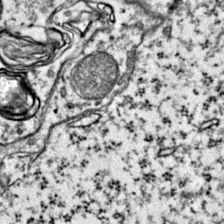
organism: Mouse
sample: Primary visual cortex